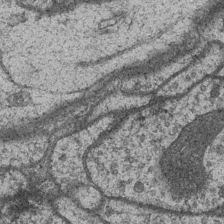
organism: Drosophila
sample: Optic medulla